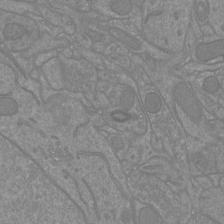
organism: Mouse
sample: Cortical neurons